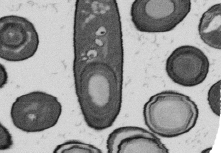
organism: B. subtilis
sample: Bacterial spore